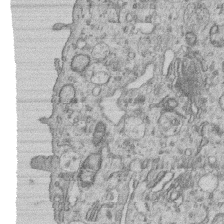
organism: Human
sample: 1205lu cells